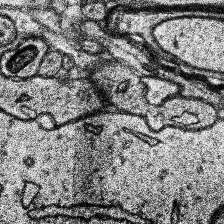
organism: Human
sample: Temporal Lobe